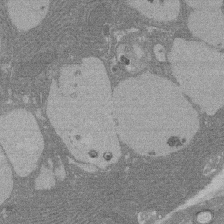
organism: Rat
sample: Salivary granule